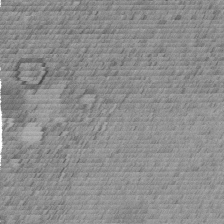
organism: C. elegans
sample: C. elegans embryo early stage